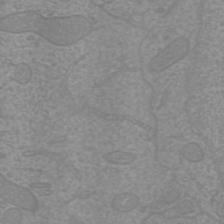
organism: Mouse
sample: Cortical neurons